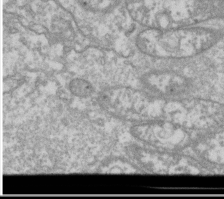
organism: Drosophila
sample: Cell division; meiosis; drosophila spermatocytes